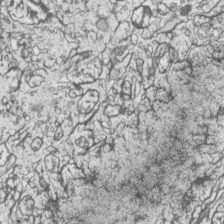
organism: Zebrafish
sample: synaptic ribbons in rod cells and cone cells